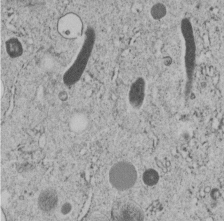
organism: C. elegans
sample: C. elegans embryo early stage